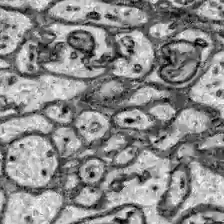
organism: Zebrafish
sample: Brain